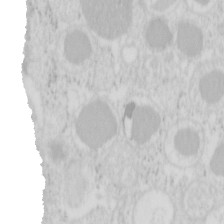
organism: Mouse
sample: Pancreas